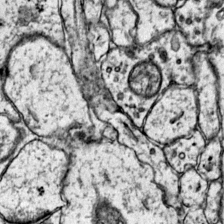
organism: Mouse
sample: Primary visual cortex